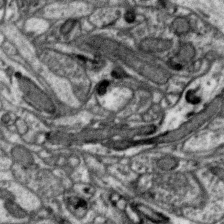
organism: Zebra finch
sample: Brain